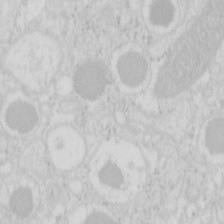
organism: Mouse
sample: Pancreas